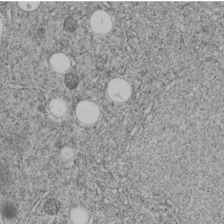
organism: C. elegans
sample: C. elegans embryo early stage